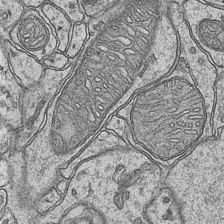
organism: Mouse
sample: CA1 Hippocampus